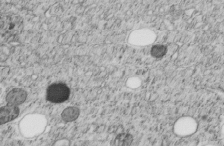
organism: C. elegans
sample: C. elegans embryo early stage